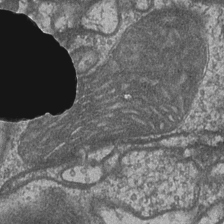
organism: Drosophila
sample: Optic medulla